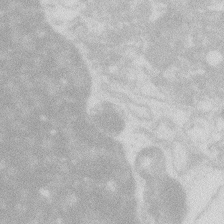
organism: Zebrafish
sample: Macrophage